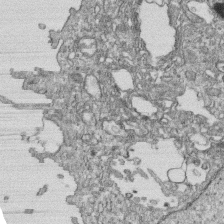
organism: Human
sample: HeLa cell HIV synapse